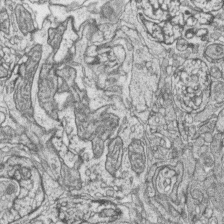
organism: Zebrafish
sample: synaptic ribbons in rod cells and cone cells